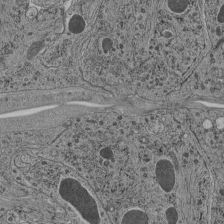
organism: C. elegans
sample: C. elegans pharynx